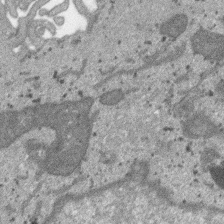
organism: Human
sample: Lung epithelial cells infected with SARS-CoV-2